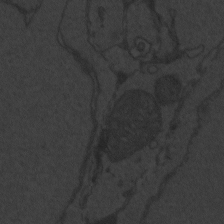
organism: Zebrafish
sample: Macrophage infected with Toxoplasma gondii